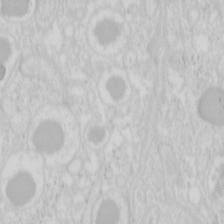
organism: Mouse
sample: Pancreas